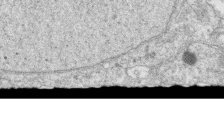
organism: Human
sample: HeLa cell HIV synapse